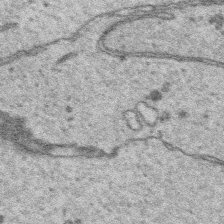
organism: Platynereis dumerilii